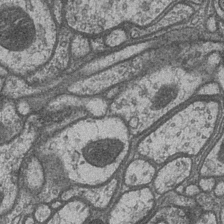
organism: Drosophila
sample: Optic medulla